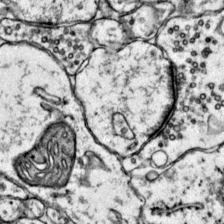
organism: Mouse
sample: Primary visual cortex